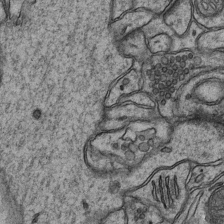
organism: Mouse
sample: CA1 Hippocampus